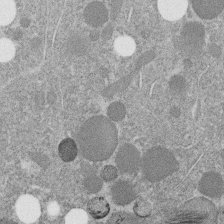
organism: C. elegans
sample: C. elegans embryo early stage